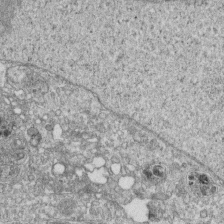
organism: Human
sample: HeLa cell HIV synapse